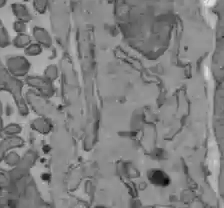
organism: C57BL Mouse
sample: Liver